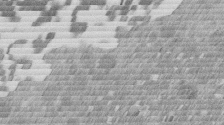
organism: Mouse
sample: Dividing mouse embryo 1 cell stage